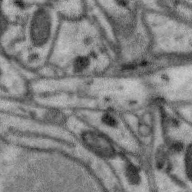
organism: Zebra finch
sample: Brain